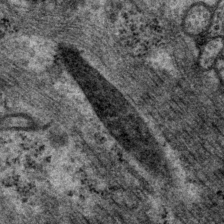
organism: P. pacificus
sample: Pharynx